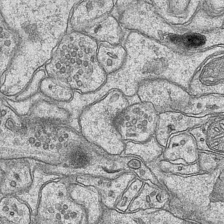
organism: Mouse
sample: CA1 Hippocampus